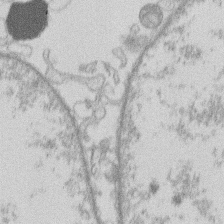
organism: Human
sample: Macrophage cells